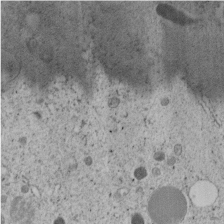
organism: C. elegans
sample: C. elegans embryo early stage